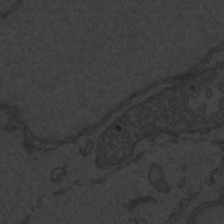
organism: Zebrafish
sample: Macrophage infected with Toxoplasma gondii